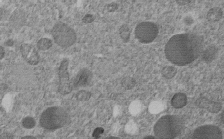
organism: C. elegans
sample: C. elegans embryo early stage